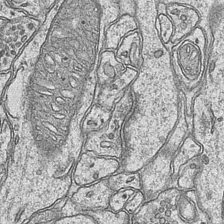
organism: Mouse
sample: CA1 Hippocampus